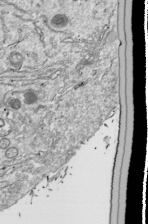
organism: Drosophila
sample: Cell division; meiosis; drosophila spermatocytes